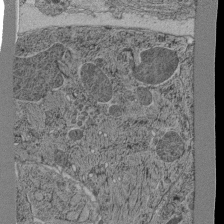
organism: C. elegans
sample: C. elegans pharynx